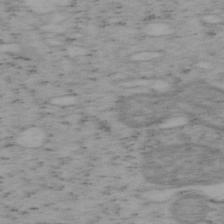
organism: Mouse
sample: OT-I killer T cells with ID8 ovarian cancer cells